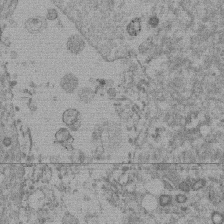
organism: Mouse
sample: Dividing mouse embryo 1 cell stage